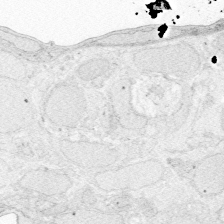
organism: Zebrafish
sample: Whole-Brain